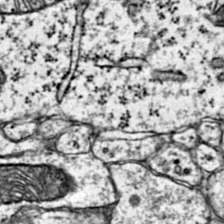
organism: Mouse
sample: Primary visual cortex